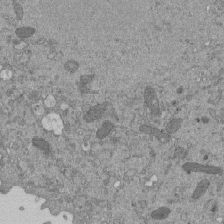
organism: Mouse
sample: ED-1 cell nuclei; centrioles